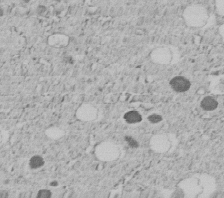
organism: C. elegans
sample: C. elegans embryo early stage